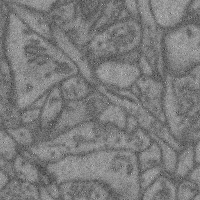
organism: Mouse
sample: Cerebral cortex